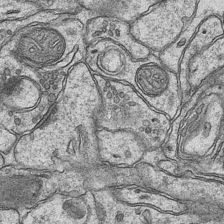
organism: Mouse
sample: CA1 Hippocampus